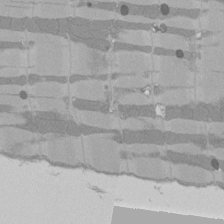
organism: Rat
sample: Left ventricle